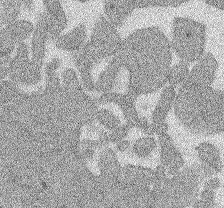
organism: Human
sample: HeLa cells